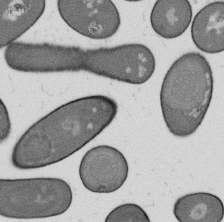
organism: B. subtilis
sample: Bacterial spore